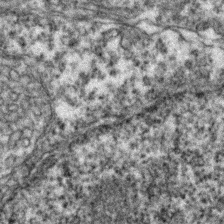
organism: Zebrafish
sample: Zebrafish embryo